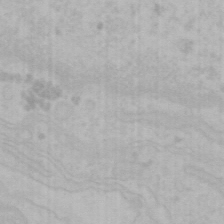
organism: Mouse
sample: Choroid plexus